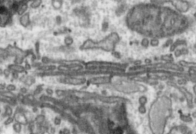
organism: Toxoplasma gondii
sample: Parasites in a vacuole inside a host cell